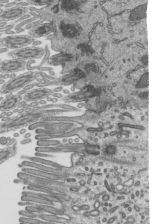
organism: Mouse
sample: Mouse epididymis efferent ductule cilia